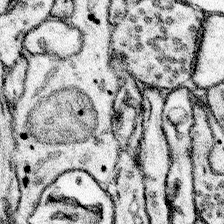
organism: Mouse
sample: Somatosensory cortex neuropil